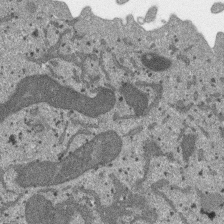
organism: Human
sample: Lung epithelial cells infected with SARS-CoV-2